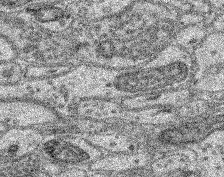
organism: Mouse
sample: Retina